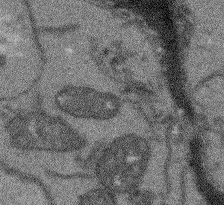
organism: Arabidopsis thaliana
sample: Root tip